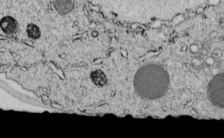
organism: C. elegans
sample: C. elegans embryo early stage